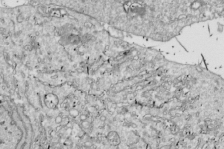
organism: Drosophila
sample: Cell division; meiosis; drosophila spermatocytes